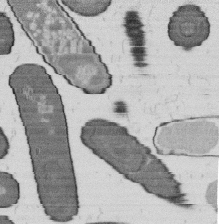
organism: B. subtilis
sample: Bacterial spore